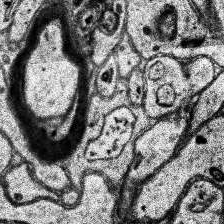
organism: Human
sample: Temporal Lobe